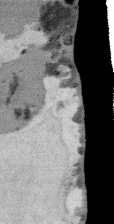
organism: Mouse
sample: T cell stromal cell synapse